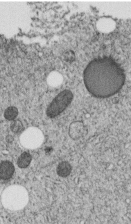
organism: C. elegans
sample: C. elegans embryo early stage